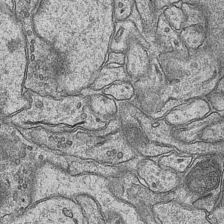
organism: Mouse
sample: CA1 Hippocampus